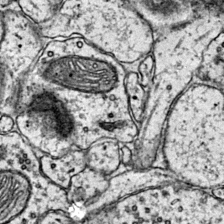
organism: Mouse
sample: Primary visual cortex